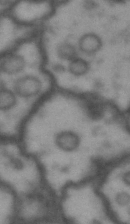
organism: Drosophila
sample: Brain